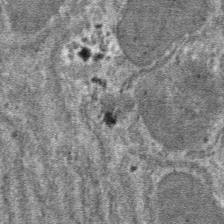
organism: Mouse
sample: Mouse hepatocytes